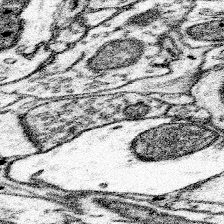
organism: Mouse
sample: Somatosensory cortex neuropil